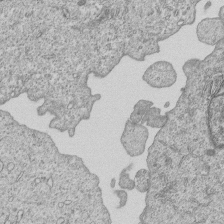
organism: Human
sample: MDA-MB-231 cells